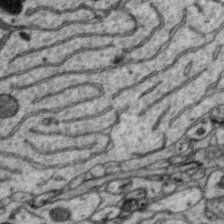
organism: Zebra finch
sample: Brain